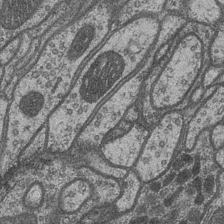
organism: Drosophila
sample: Optic medulla